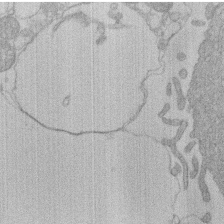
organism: Human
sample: Macrophage cells